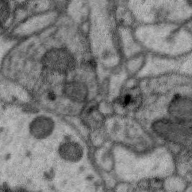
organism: Zebra finch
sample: Brain